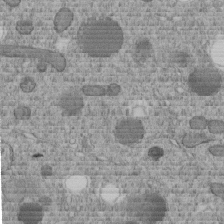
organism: C. elegans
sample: C. elegans embryo early stage